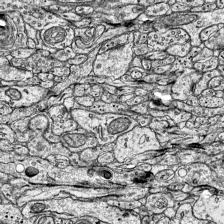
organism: Mouse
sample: Visual Cortex